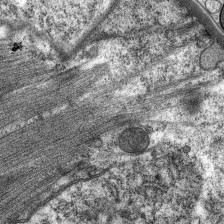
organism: C. elegans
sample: Pharynx